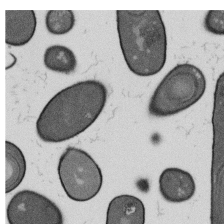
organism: B. subtilis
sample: Bacterial spore